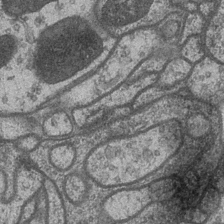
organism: Drosophila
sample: Optic medulla